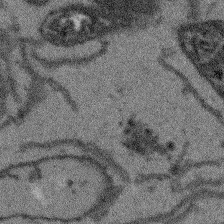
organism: Arabidopsis thaliana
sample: Root tip